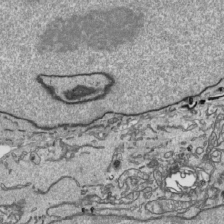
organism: Human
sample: Mitochondria in HCT116 cells